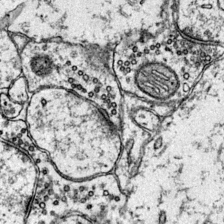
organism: Mouse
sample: Primary visual cortex